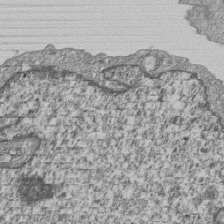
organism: Human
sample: MDA-MB-231 cells